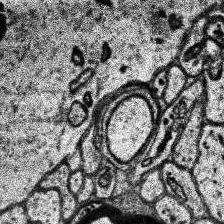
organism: Human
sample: Temporal Lobe